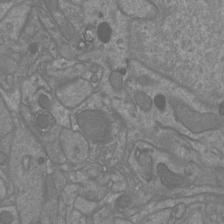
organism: Mouse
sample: Cortical neurons